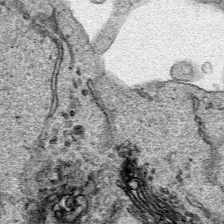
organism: Human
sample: Mitochondria in HCT116 cells